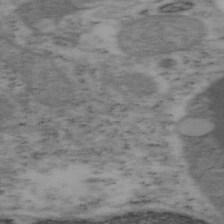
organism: Mouse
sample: OT-I killer T cells with ID8 ovarian cancer cells